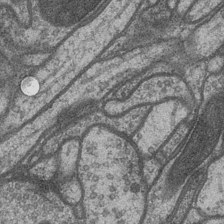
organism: Drosophila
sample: Optic medulla